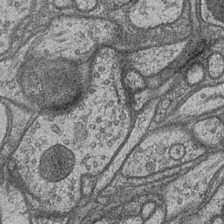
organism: Drosophila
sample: Optic medulla